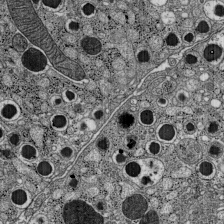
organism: C57BL Mouse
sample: Pancreatic islet